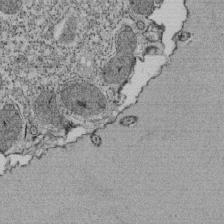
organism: Tetrahymena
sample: Cilia in tetrahymena